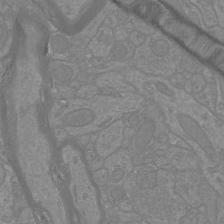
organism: Mouse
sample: Cortical neurons